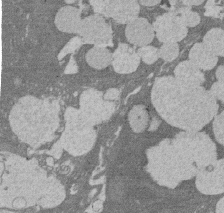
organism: Rat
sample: Salivary granule